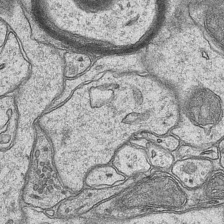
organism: Mouse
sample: CA1 Hippocampus